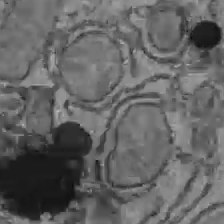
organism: C57BL Mouse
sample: Liver